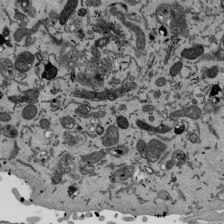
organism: Mouse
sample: ED-1 cell nuclei; centrioles